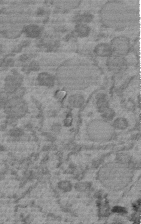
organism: C. elegans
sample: C. elegans embryo early stage